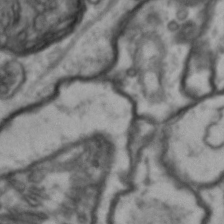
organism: Drosophila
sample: Brain